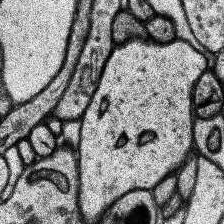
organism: Human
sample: Temporal Lobe